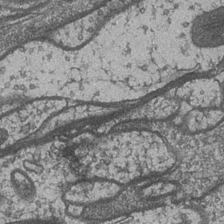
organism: Drosophila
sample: Optic medulla